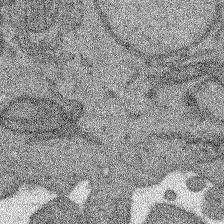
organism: Human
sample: HeLa cells